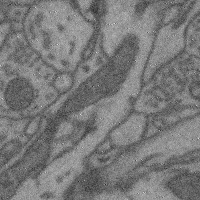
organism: Mouse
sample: Cerebral cortex